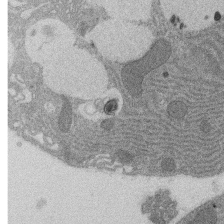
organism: Rat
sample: Salivary granule